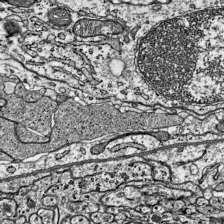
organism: Mouse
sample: Visual Cortex